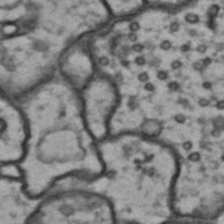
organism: Drosophila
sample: Brain